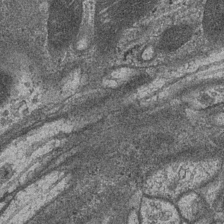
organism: Drosophila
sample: Optic medulla